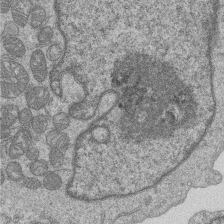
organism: Human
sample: MDA-MB-231 cells